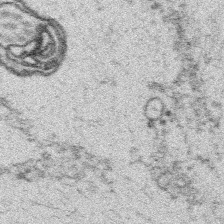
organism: Platynereis dumerilii